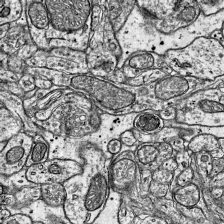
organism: Mouse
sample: Visual Cortex